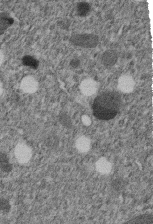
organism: C. elegans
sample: C. elegans embryo early stage